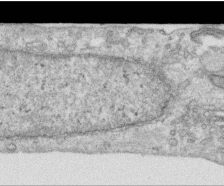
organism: Human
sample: Centriole in RPE cells